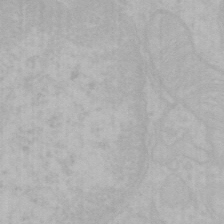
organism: Mouse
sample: Choroid plexus